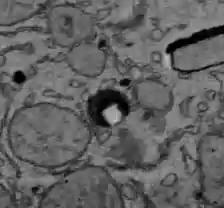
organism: C57BL Mouse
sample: Liver